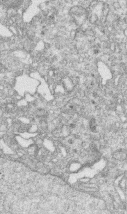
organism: Human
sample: HeLa cell HIV synapse